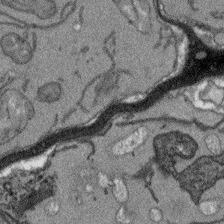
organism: Arabidopsis thaliana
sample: Root tip